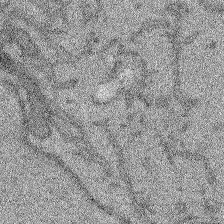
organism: Human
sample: HeLa cells